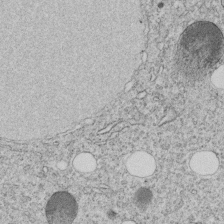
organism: C. elegans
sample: C. elegans embryo early stage